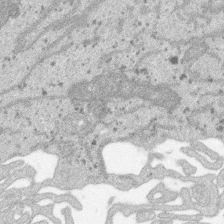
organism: Human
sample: Lung epithelial cells infected with SARS-CoV-2